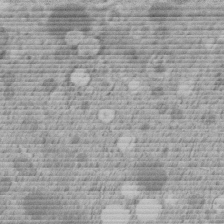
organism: C. elegans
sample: C. elegans embryo early stage